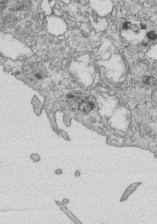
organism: Human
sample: HeLa cell HIV synapse